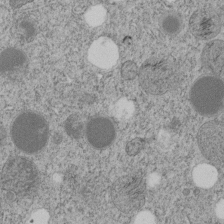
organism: C. elegans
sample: C. elegans embryo early stage